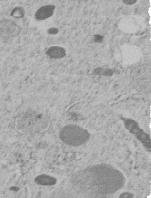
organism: C. elegans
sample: C. elegans embryo early stage